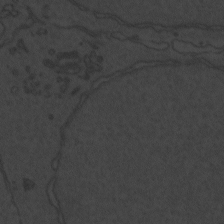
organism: Zebrafish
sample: Macrophage infected with Toxoplasma gondii